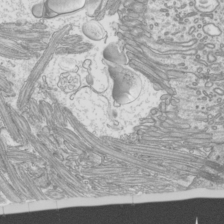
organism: Mouse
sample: Cilia; mouse epididymis